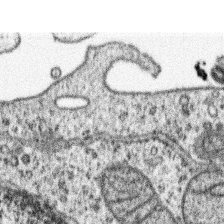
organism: Human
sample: HeLa cells